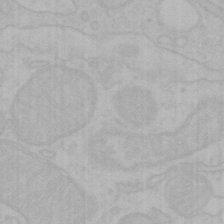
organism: Mouse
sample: Choroid plexus